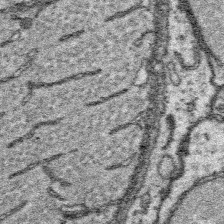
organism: Platynereis dumerilii